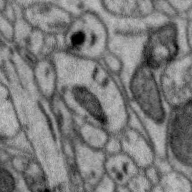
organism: Zebra finch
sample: Brain